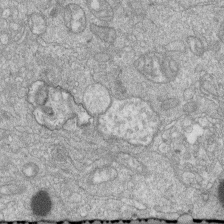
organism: Human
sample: HeLa cell HIV synapse